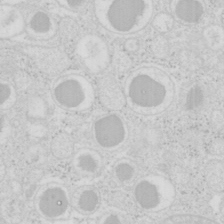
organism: Mouse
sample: Pancreas